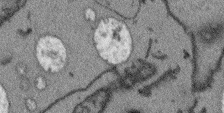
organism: Arabidopsis thaliana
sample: Root tip